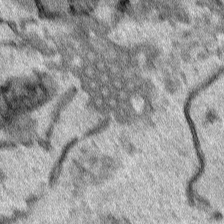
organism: Human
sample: Mitochondria in HCT116 cells